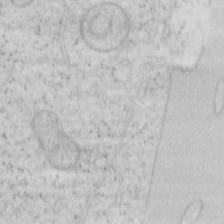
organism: Human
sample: HeLa cells